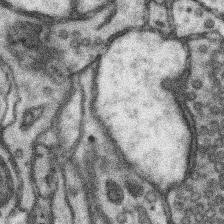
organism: Mouse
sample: Somatosensory cortex neuropil